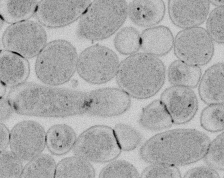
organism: E. coli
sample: Bacterial nucleoid